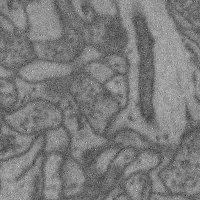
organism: Mouse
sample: Cerebral cortex